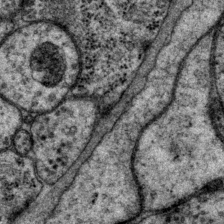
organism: P. pacificus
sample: Pharynx